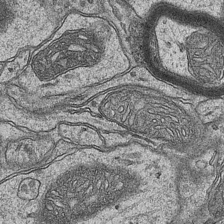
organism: Mouse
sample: CA1 Hippocampus